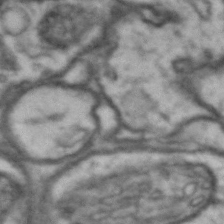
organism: Drosophila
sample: Brain